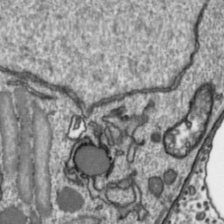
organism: Toxoplasma gondii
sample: Parasites in a vacuole inside a host cell